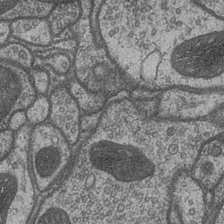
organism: Drosophila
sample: Optic medulla